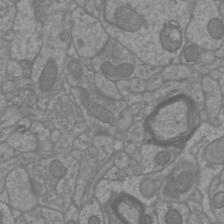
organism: Mouse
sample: Cortical neurons